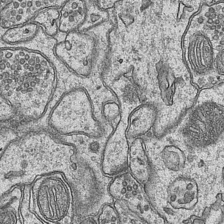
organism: Mouse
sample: CA1 Hippocampus